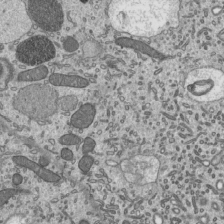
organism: Mouse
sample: Mouse epididymis efferent ductule cilia